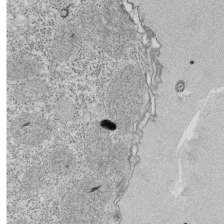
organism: Tetrahymena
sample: Cilia in tetrahymena